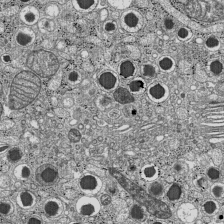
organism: C57BL Mouse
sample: Pancreatic islet